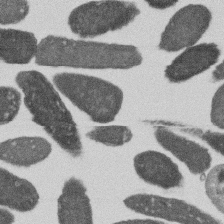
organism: E. coli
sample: Bacterial nucleoid